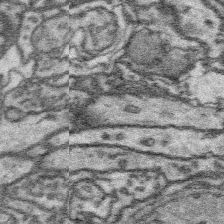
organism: Platynereis dumerilii